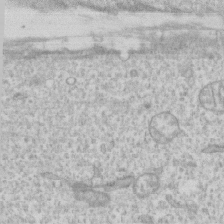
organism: Human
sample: CRL-1474